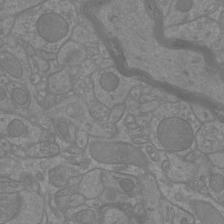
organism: Mouse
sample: Cortical neurons